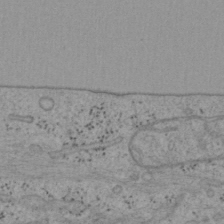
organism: Human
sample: HeLa cells